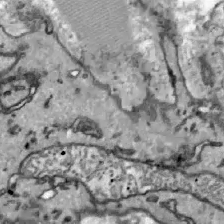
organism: Zebrafish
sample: Actinotrichia fibers